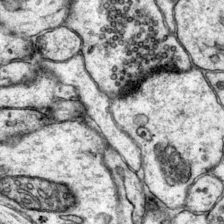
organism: Mouse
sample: Primary visual cortex